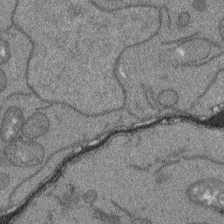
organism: Arabidopsis thaliana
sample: Root tip